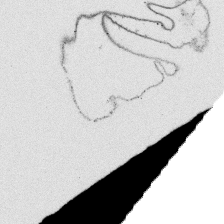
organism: Platynereis dumerilii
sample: Parapodia